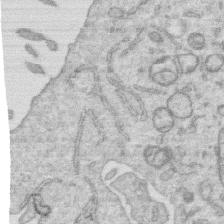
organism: Human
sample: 1205lu cells